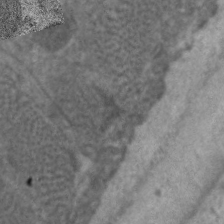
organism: C. elegans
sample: Pharynx